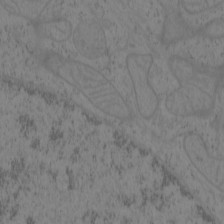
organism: Human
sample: HeLa cells